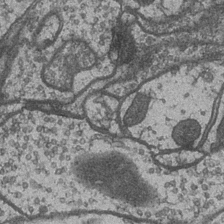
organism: Drosophila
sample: Optic medulla